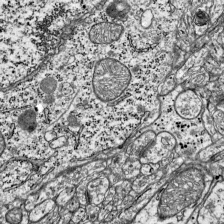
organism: Mouse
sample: Visual Cortex